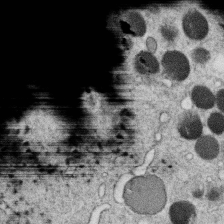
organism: C. elegans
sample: C. elegans oocyte; sperm cells